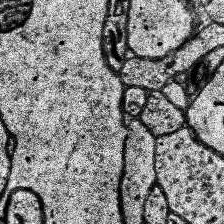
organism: Human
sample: Temporal Lobe